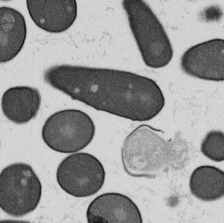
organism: B. subtilis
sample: Bacterial spore